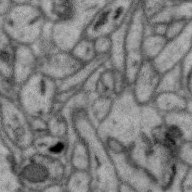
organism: Zebra finch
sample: Brain